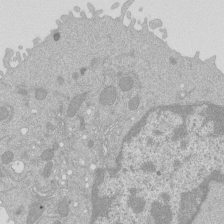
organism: Mouse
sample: Activated Pmel transgenic CD8+ T Cells